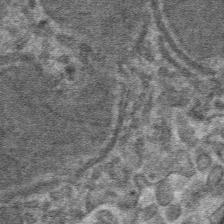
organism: Mouse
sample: Mouse hepatocytes